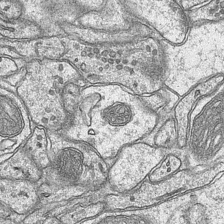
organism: Mouse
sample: CA1 Hippocampus